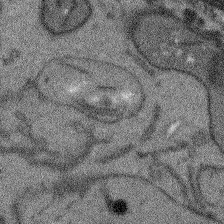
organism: Arabidopsis thaliana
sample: Root tip